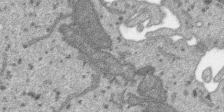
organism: Human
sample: Lung epithelial cells infected with SARS-CoV-2